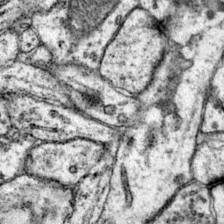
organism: Mouse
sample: Primary visual cortex